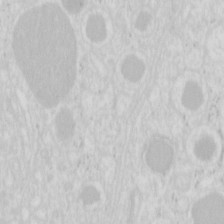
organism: Mouse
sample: Pancreas